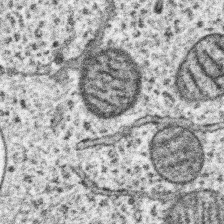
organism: Human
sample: HeLa cells